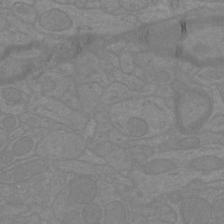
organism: Mouse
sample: Cortical neurons